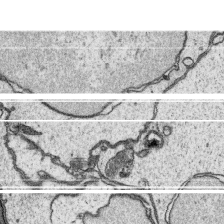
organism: Platynereis dumerilii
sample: Parapodia